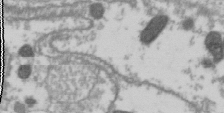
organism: Drosophila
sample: Cell division; meiosis; drosophila spermatocytes